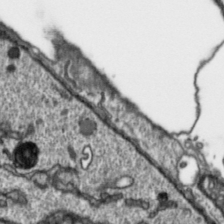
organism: Toxoplasma gondii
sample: Parasites in a vacuole inside a host cell